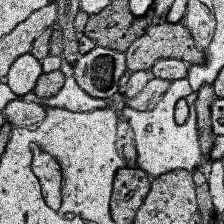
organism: Human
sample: Temporal Lobe